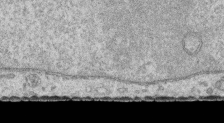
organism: Human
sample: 1205lu cells